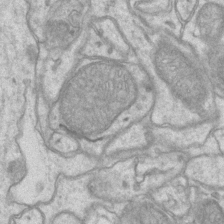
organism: Mouse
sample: CA1 Hippocampus